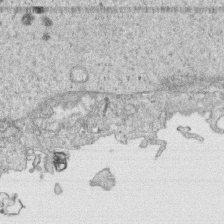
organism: Human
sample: HeLa cell HIV synapse